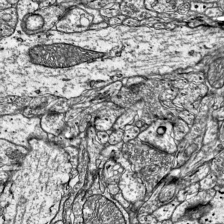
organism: Mouse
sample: Visual Cortex